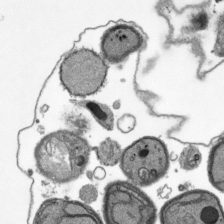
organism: Plasmodium falciparum